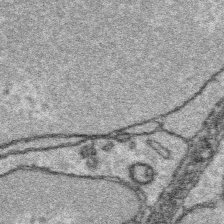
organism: Platynereis dumerilii